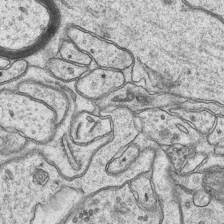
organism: Mouse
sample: CA1 Hippocampus